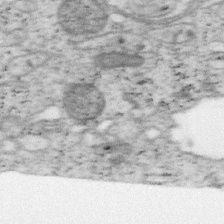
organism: Mouse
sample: OT-I killer T cells with ID8 ovarian cancer cells